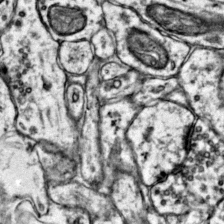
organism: Mouse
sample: Primary visual cortex